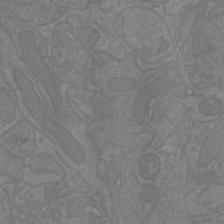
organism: Mouse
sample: Cortical neurons